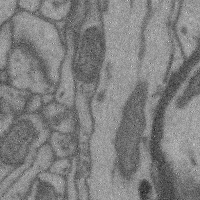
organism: Mouse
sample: Cerebral cortex